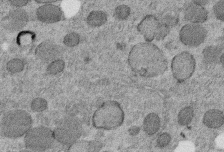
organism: C. elegans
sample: C. elegans embryo early stage